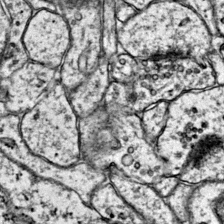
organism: Mouse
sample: Primary visual cortex